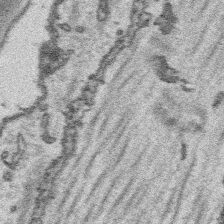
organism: Platynereis dumerilii